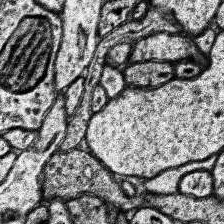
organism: Human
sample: Temporal Lobe